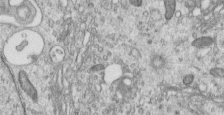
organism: Human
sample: Centriole in RPE cells